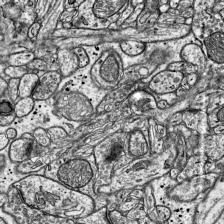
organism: Mouse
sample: Visual Cortex